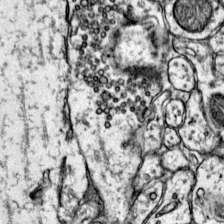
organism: Mouse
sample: Primary visual cortex